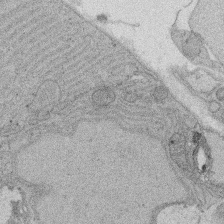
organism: Rat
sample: Salivary granule